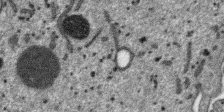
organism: Human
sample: Lung epithelial cells infected with SARS-CoV-2